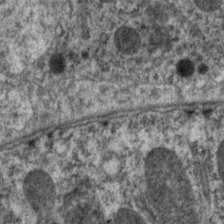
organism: C. elegans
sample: Pharynx